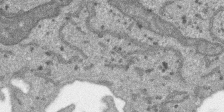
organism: Human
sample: Lung epithelial cells infected with SARS-CoV-2